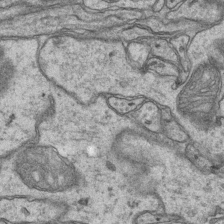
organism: Mouse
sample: CA1 Hippocampus